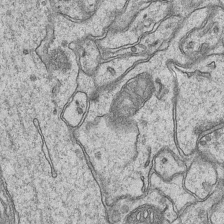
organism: Mouse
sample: CA1 Hippocampus